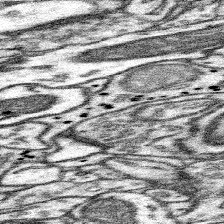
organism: Mouse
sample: Somatosensory cortex neuropil